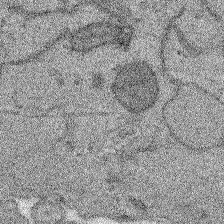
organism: Human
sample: HeLa cells